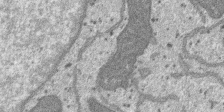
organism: Human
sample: Lung epithelial cells infected with SARS-CoV-2